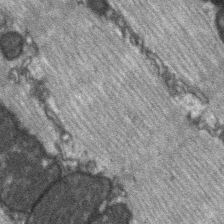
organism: C57BL Mouse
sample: Soleus